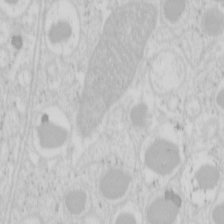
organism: Mouse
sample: Pancreas